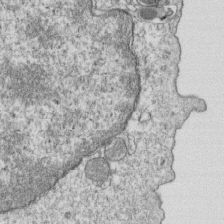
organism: Mouse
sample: Activated OT-1 CD8+ T cells